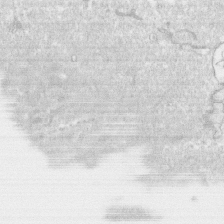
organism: Human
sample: CRL-1474